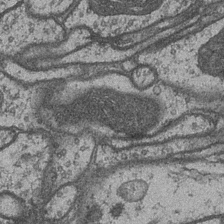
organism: Drosophila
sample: Optic medulla